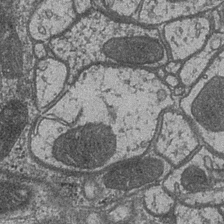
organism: Drosophila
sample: Optic medulla